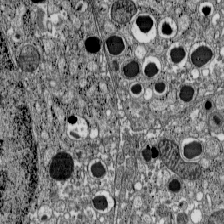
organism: C57BL Mouse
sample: Pancreatic islet